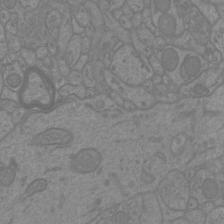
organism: Mouse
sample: Cortical neurons